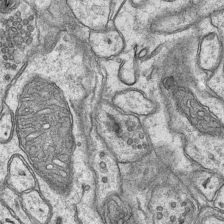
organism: Mouse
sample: CA1 Hippocampus